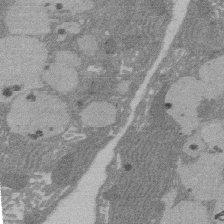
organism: Rat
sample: Salivary granule